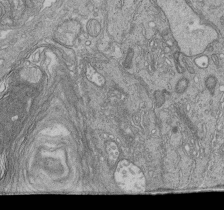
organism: Human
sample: Retinal organoid Rod and Cone cells